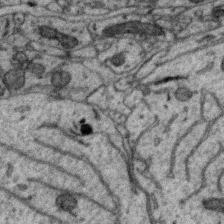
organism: Zebra finch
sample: Brain